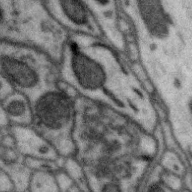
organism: Zebra finch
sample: Brain